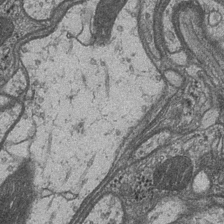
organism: Drosophila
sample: Optic medulla